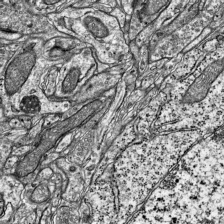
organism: Mouse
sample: Visual Cortex